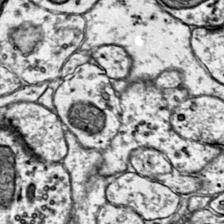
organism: Mouse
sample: Primary visual cortex